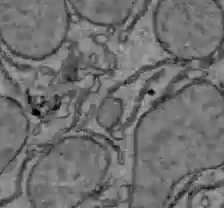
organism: C57BL Mouse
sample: Liver